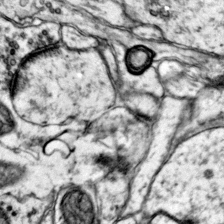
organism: Mouse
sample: Primary visual cortex